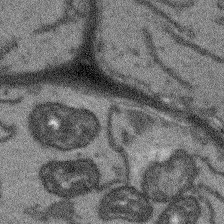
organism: Arabidopsis thaliana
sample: Root tip